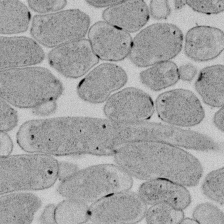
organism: E. coli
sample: Bacterial nucleoid